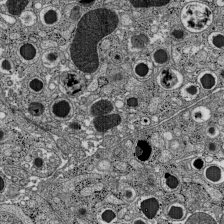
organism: C57BL Mouse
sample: Pancreatic islet